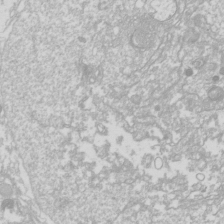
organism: Drosophila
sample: Cell division; meiosis; drosophila spermatocytes